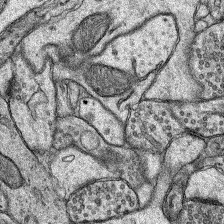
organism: Rat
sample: Hippocampus